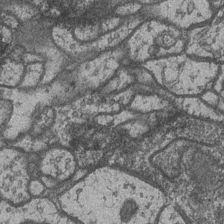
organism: Drosophila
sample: Optic medulla